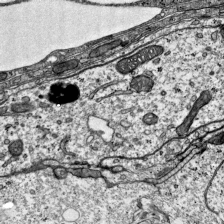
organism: Mouse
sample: Visual Cortex